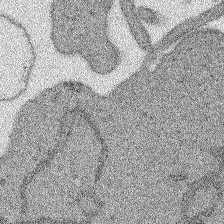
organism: Human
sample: HeLa cells